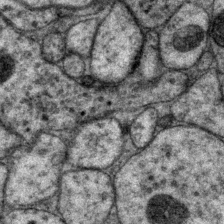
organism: P. pacificus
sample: Pharynx